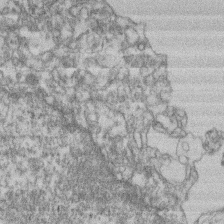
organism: Mouse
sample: T cell stromal cell synapse